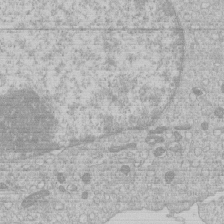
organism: Human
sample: Macrophage cells